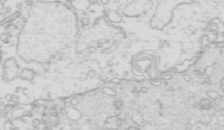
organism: Mouse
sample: Multiciliated cells